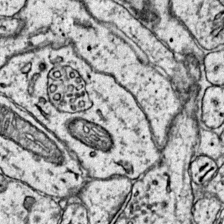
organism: Mouse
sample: Primary visual cortex